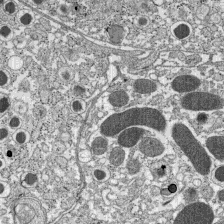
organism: C57BL Mouse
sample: Pancreatic islet